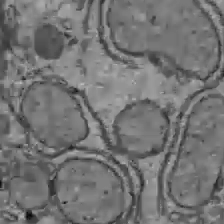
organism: C57BL Mouse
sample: Liver